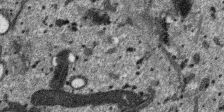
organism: Human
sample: Lung epithelial cells infected with SARS-CoV-2